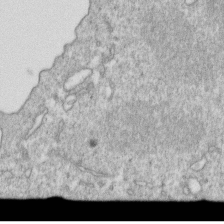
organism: Mouse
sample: Activated OT-1 CD8+ T cells